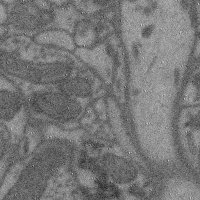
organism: Mouse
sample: Cerebral cortex